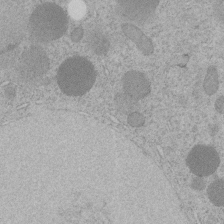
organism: C. elegans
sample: C. elegans embryo early stage